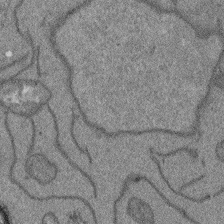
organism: Arabidopsis thaliana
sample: Root tip